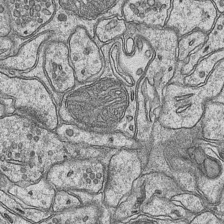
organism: Mouse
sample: CA1 Hippocampus